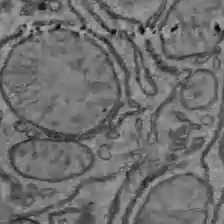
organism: C57BL Mouse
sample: Liver